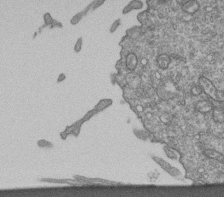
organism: Human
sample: Retinal organoid Rod and Cone cells